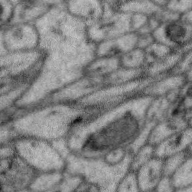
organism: Zebra finch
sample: Brain